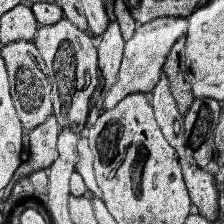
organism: Human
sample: Temporal Lobe